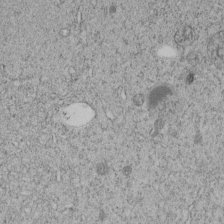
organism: C. elegans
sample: C. elegans embryo early stage